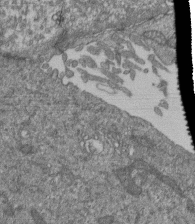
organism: Human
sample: Retinal organoid Rod and Cone cells